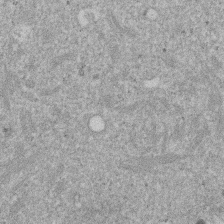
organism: Mouse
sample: Dividing mouse embryo 1 cell stage